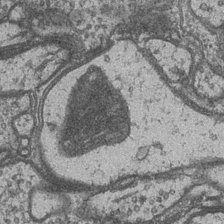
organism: Drosophila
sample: Optic medulla